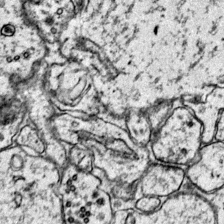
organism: Mouse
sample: Primary visual cortex